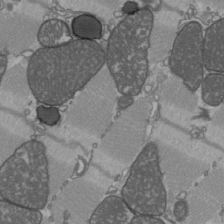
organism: C57BL Mouse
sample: Heart